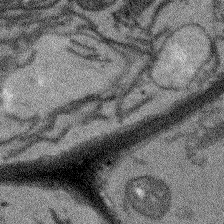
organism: Arabidopsis thaliana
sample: Root tip